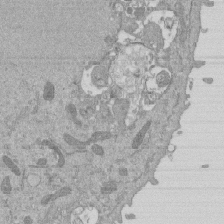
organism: Mouse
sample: ED-1 cell nuclei; centrioles